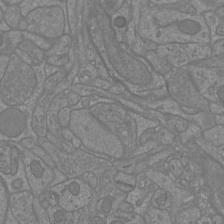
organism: Mouse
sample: Cortical neurons